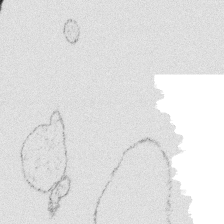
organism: Platynereis dumerilii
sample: Parapodia